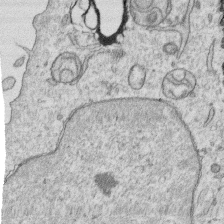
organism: Human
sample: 1205lu cells